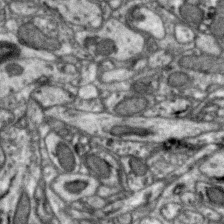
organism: Zebra finch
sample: Brain